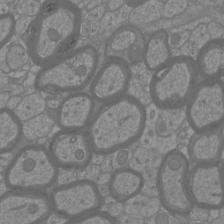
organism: Mouse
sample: Cortical neurons